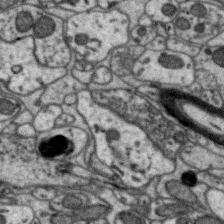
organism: Zebra finch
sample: Brain